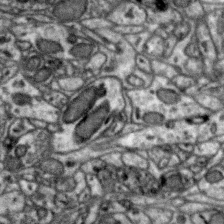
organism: Zebra finch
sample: Brain